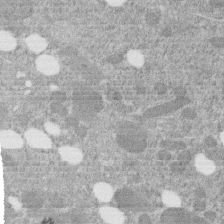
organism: C. elegans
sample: C. elegans embryo early stage